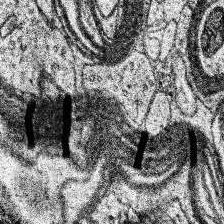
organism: Human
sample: Temporal Lobe